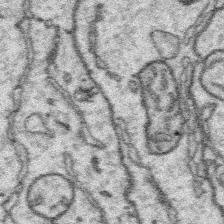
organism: Platynereis dumerilii